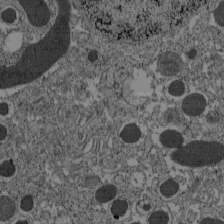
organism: C57BL Mouse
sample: Pancreatic islet